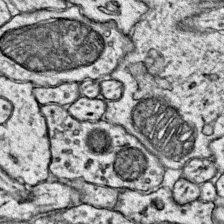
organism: Mouse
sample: Primary visual cortex